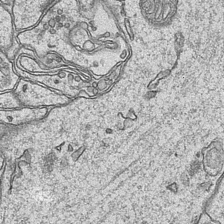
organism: Mouse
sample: CA1 Hippocampus